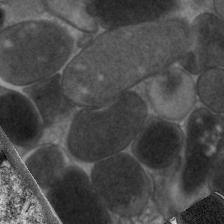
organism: C. elegans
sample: Pharynx